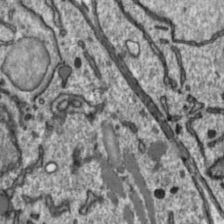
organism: Toxoplasma gondii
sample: Parasites in a vacuole inside a host cell